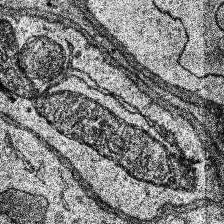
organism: Human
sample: Temporal Lobe